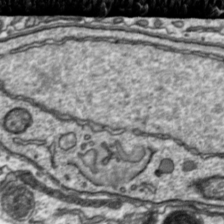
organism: Toxoplasma gondii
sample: Parasites in a vacuole inside a host cell